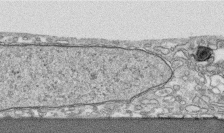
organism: Human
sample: CRL-1474